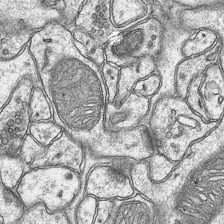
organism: Mouse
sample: CA1 Hippocampus